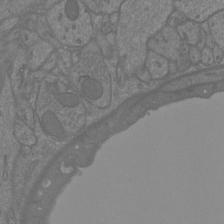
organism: Mouse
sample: Cortical neurons